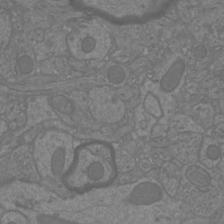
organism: Mouse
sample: Cortical neurons